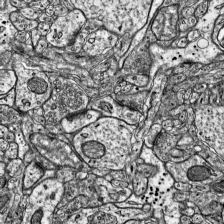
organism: Mouse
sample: Visual Cortex